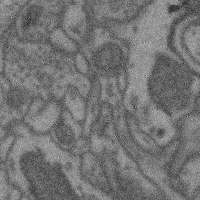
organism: Mouse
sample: Cerebral cortex